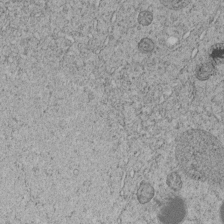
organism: C. elegans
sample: C. elegans embryo early stage